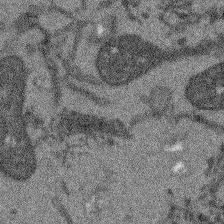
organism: Arabidopsis thaliana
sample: Root tip